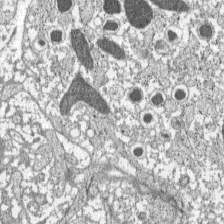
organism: C57BL Mouse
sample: Pancreatic islet